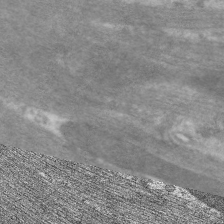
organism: C. elegans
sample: Pharynx